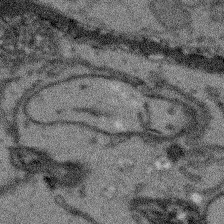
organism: Arabidopsis thaliana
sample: Root tip